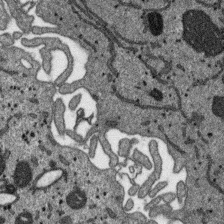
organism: Human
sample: Lung epithelial cells infected with SARS-CoV-2